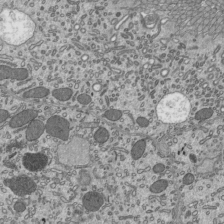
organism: Mouse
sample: Mouse epididymis efferent ductule cilia